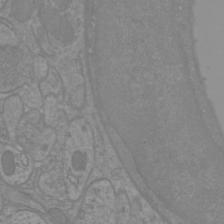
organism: Mouse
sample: Cortical neurons